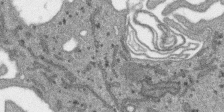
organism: Human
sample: Lung epithelial cells infected with SARS-CoV-2